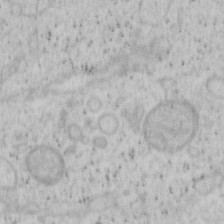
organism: Human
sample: HeLa cells